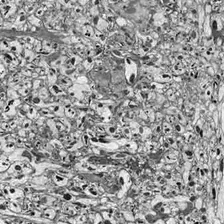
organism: Drosophila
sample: Optic lobe